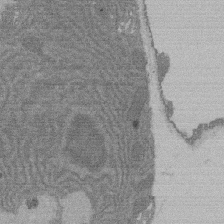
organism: Rat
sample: Salivary granule